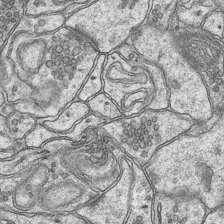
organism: Mouse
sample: CA1 Hippocampus